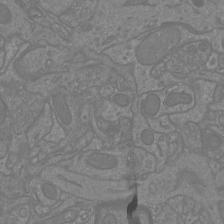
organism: Mouse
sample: Cortical neurons